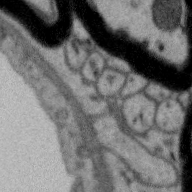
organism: Zebra finch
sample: Brain